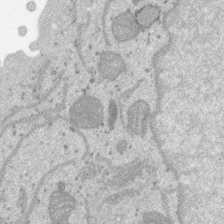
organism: Human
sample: Lung epithelial cells infected with SARS-CoV-2